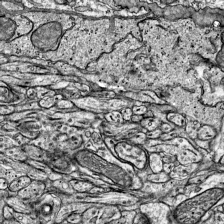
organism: Mouse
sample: Visual Cortex